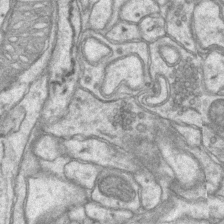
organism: Mouse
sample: CA1 Hippocampus